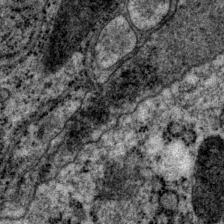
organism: P. pacificus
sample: Pharynx